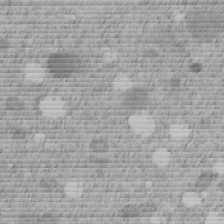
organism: C. elegans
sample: C. elegans embryo early stage